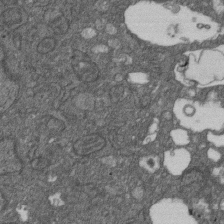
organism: Drosophila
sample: Nephrocyte